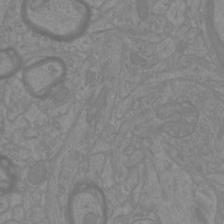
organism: Mouse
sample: Cortical neurons